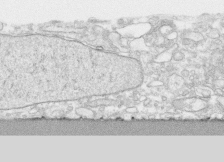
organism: Human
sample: CRL-1474